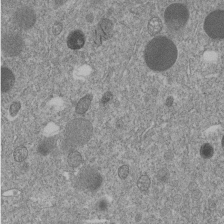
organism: C. elegans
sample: C. elegans embryo early stage